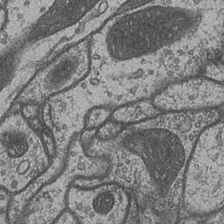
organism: Drosophila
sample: Optic medulla